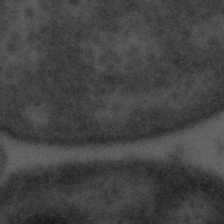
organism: Tuwongella immobilis